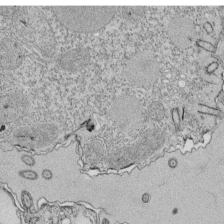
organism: Tetrahymena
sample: Cilia in tetrahymena